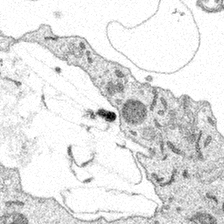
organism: Spongilla lacustris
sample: Multiple